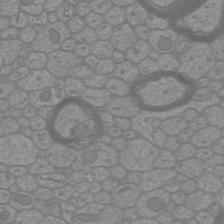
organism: Mouse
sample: Cortical neurons